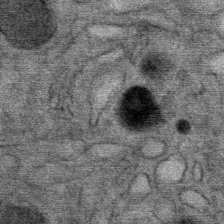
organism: Mouse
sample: Mouse Salivary gland